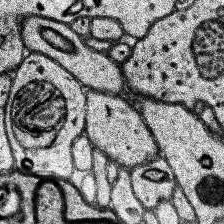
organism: Human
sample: Temporal Lobe